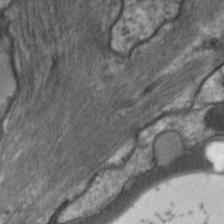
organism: C. elegans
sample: Pharynx